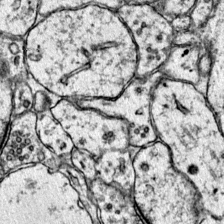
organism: Mouse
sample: Primary visual cortex